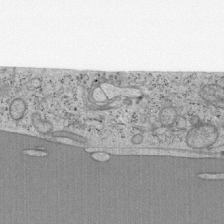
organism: Human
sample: HeLa cells